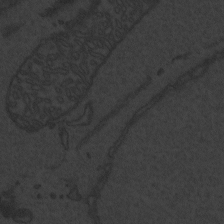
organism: Zebrafish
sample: Macrophage infected with Toxoplasma gondii